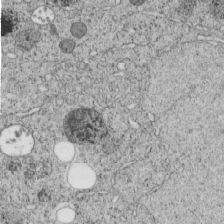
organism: C. elegans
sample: C. elegans embryo early stage